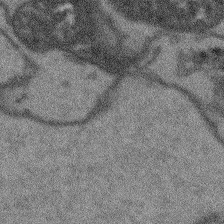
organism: Arabidopsis thaliana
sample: Root tip